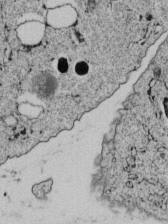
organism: C. elegans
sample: C. elegans embryo early stage